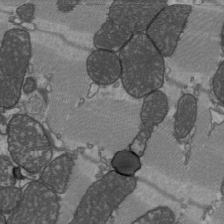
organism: C57BL Mouse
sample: Heart